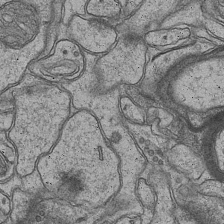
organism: Mouse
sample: CA1 Hippocampus